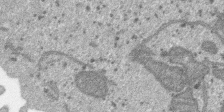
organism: Human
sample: Lung epithelial cells infected with SARS-CoV-2